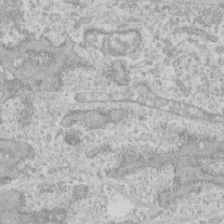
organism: Human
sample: CRL-1474